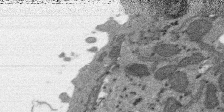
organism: Human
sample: Lung epithelial cells infected with SARS-CoV-2